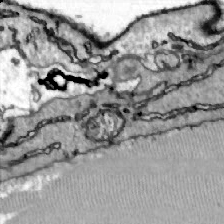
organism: Zebrafish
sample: Actinotrichia fibers